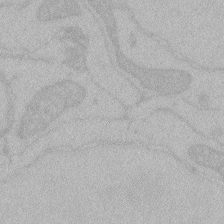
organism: Zebrafish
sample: Macrophage infected with Toxoplasma gondii